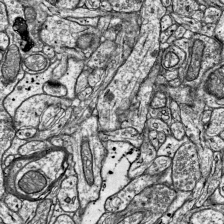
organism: Mouse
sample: Visual Cortex